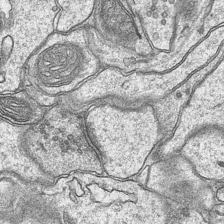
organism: Mouse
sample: CA1 Hippocampus